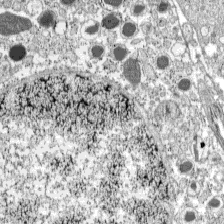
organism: C57BL Mouse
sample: Pancreatic islet